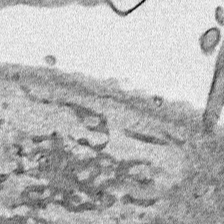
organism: Human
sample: Mitochondria in HCT116 cells